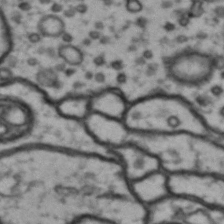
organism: Drosophila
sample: Brain